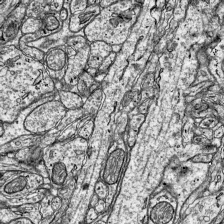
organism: Mouse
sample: Visual Cortex